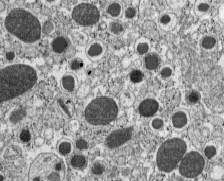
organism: C57BL Mouse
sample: Pancreatic islet